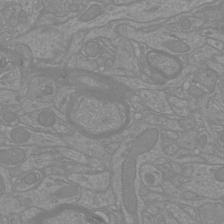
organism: Mouse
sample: Cortical neurons